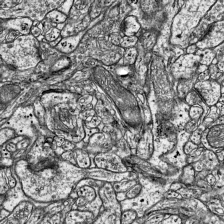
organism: Mouse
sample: Visual Cortex